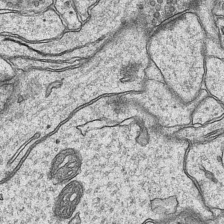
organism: Mouse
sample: CA1 Hippocampus